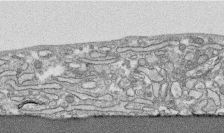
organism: Human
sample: CRL-1474